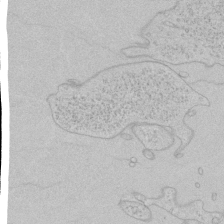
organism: Human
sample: Mitochondria in HCT116 cells